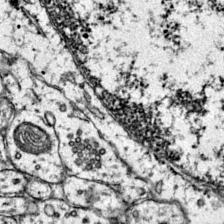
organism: Mouse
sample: Primary visual cortex